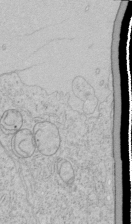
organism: Human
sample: Mitochondria in HCT116 cells